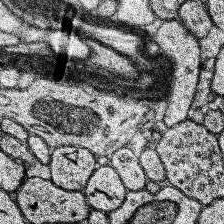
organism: Human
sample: Temporal Lobe